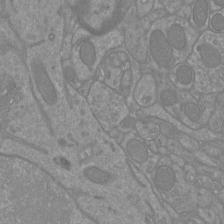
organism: Mouse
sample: Cortical neurons